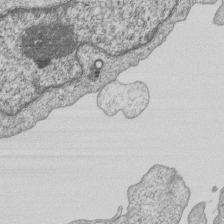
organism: Human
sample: MDA-MB-231 cells